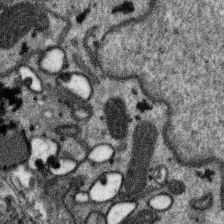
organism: Human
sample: Lung epithelial cells infected with SARS-CoV-2